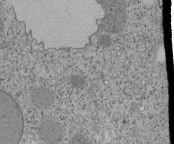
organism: Tetrahymena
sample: Cilia in tetrahymena